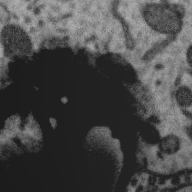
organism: Zebra finch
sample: Brain